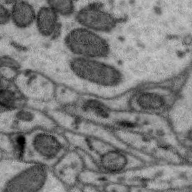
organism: Zebra finch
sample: Brain